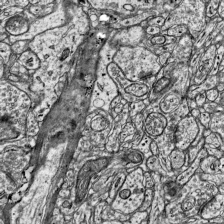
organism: Mouse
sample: Visual Cortex